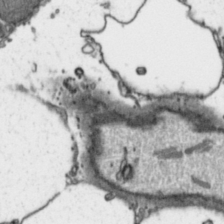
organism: Toxoplasma gondii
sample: Parasites in a vacuole inside a host cell